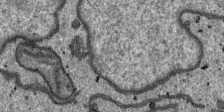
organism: Human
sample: Lung epithelial cells, uninfected (mock) control